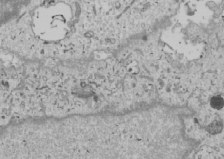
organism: Human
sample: Mitochondria in U2OS cells